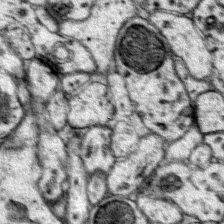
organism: Mouse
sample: Primary visual cortex